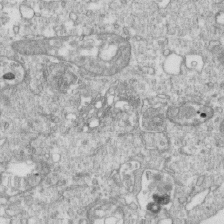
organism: Mouse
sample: Activated OT-1 CD8+ T cells